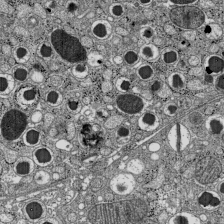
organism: C57BL Mouse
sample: Pancreatic islet